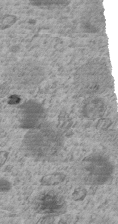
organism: C. elegans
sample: C. elegans embryo early stage